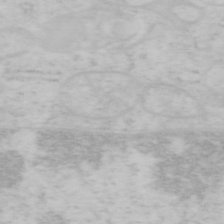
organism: Mouse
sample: OT-I killer T cells with ID8 ovarian cancer cells